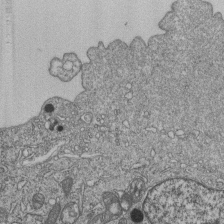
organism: Human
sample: MDA-MB-231 cells